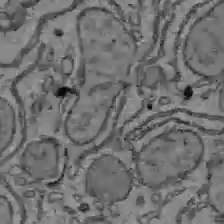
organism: C57BL Mouse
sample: Liver